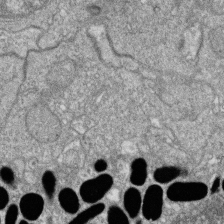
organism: Zebrafish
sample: Cilia; retinal pigment epithelium